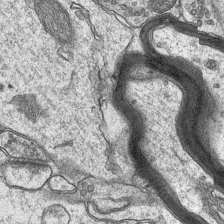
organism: Mouse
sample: CA1 Hippocampus